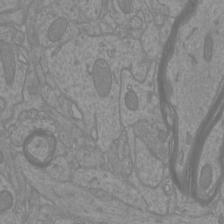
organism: Mouse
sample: Cortical neurons